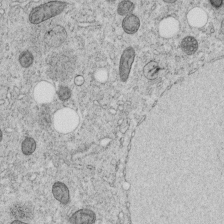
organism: C. elegans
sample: C. elegans embryo early stage